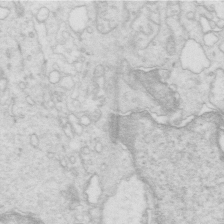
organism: Mouse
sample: Multiciliated cells